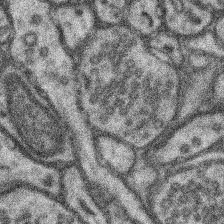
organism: Mouse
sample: Somatosensory cortex neuropil